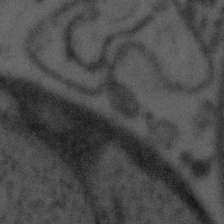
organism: Tuwongella immobilis